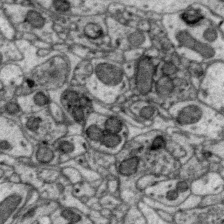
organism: Zebra finch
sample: Brain